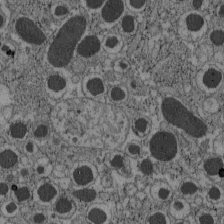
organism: C57BL Mouse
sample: Pancreatic islet